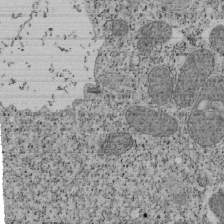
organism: Tetrahymena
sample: Cilia in tetrahymena